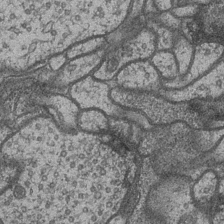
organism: Drosophila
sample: Optic medulla